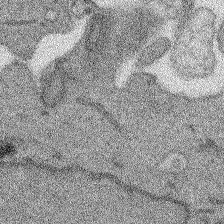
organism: Human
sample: HeLa cells